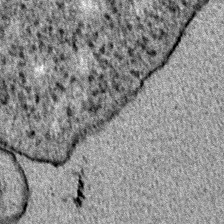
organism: E. coli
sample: E. Coli Bacteria